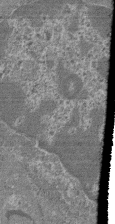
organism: Mouse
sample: Glomerulus